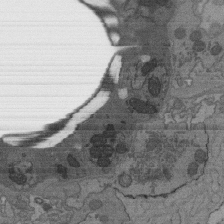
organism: C. elegans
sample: AFD neurons C. elegans